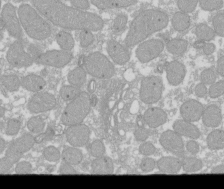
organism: Xenopus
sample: Cilia; centrioles in frog embryo cells